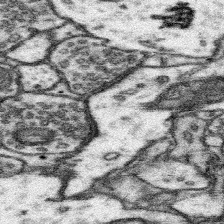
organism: Mouse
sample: Somatosensory cortex neuropil